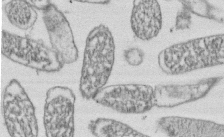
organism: E. coli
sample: Bacterial nucleoid